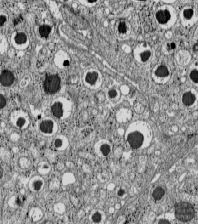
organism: C57BL Mouse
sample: Pancreatic islet